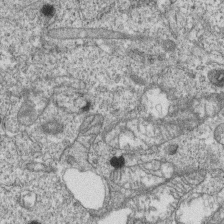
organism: Human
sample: HeLa cell HIV synapse